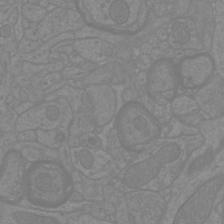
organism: Mouse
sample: Cortical neurons